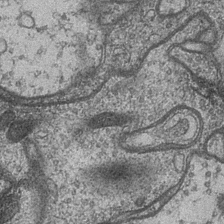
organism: Drosophila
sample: Optic medulla